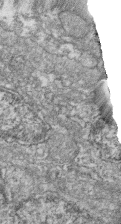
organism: Zebrafish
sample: Cilia; retinal pigment epithelium